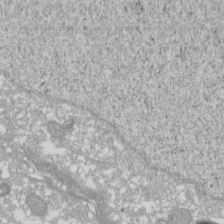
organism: Xenopus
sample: Cilia; centrioles in frog embryo cells